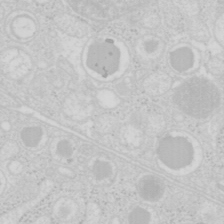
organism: Mouse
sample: Pancreas